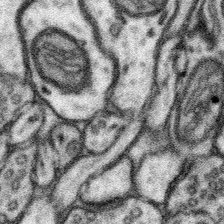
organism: Mouse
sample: Somatosensory cortex neuropil